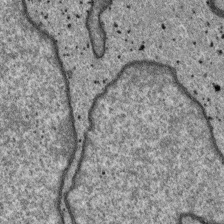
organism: Human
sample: Lung epithelial cells, uninfected (mock) control